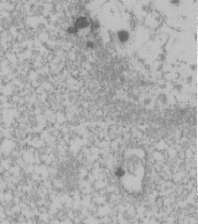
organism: Human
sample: U2-OS cells